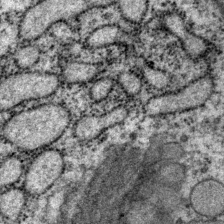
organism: P. pacificus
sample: Pharynx